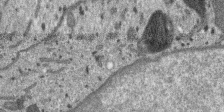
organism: Human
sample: Lung epithelial cells infected with SARS-CoV-2